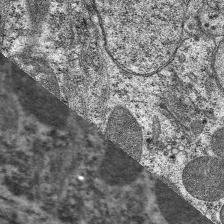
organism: C. elegans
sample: Pharynx